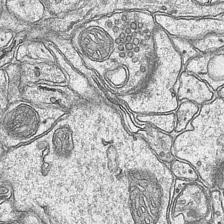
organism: Mouse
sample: CA1 Hippocampus